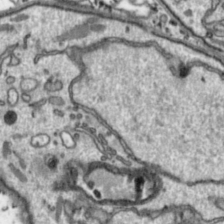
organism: Toxoplasma gondii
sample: Parasites in a vacuole inside a host cell